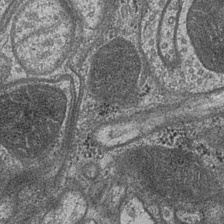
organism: Drosophila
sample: Optic medulla